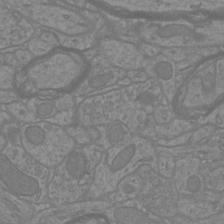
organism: Mouse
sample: Cortical neurons